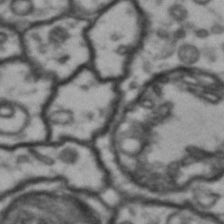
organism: Drosophila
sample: Brain